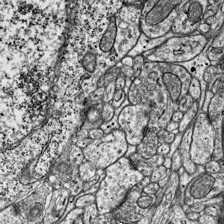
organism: Mouse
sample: Visual Cortex